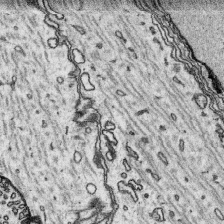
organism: Platynereis dumerilii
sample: Parapodia